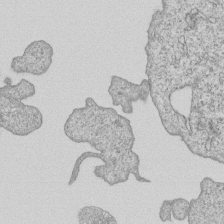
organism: Human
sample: MDA-MB-231 cells